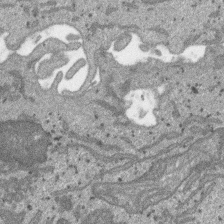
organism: Human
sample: Lung epithelial cells infected with SARS-CoV-2